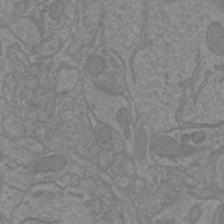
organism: Mouse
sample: Cortical neurons